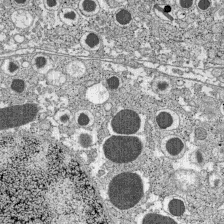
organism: C57BL Mouse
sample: Pancreatic islet